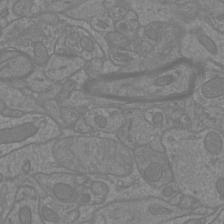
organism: Mouse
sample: Cortical neurons